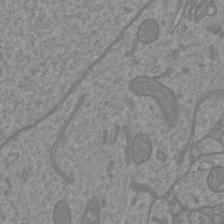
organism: Mouse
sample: Cortical neurons